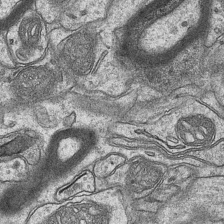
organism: Mouse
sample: CA1 Hippocampus